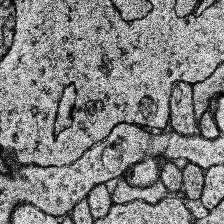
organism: Human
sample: Temporal Lobe